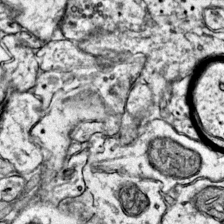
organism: Mouse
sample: Primary visual cortex